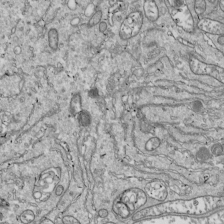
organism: Drosophila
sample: Cell division; meiosis; drosophila spermatocytes